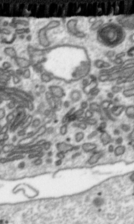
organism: Toxoplasma gondii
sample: Parasites in a vacuole inside a host cell